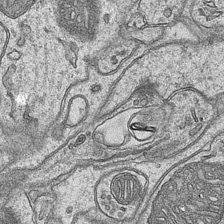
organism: Mouse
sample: CA1 Hippocampus